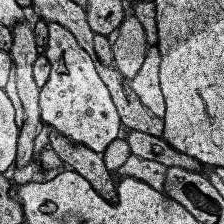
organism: Human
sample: Temporal Lobe